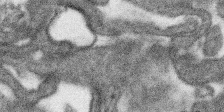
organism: Human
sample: Lung epithelial cells infected with SARS-CoV-2